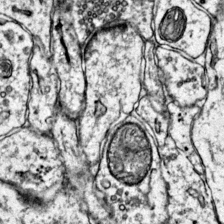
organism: Mouse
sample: Primary visual cortex